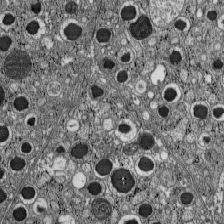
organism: C57BL Mouse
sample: Pancreatic islet